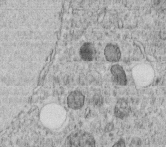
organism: C. elegans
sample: C. elegans embryo early stage